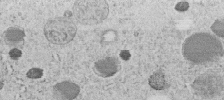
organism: C. elegans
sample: C. elegans embryo early stage